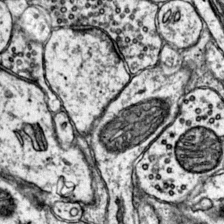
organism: Mouse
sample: Primary visual cortex